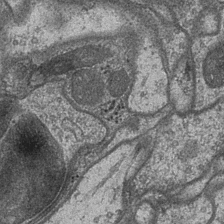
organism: Drosophila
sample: Optic medulla